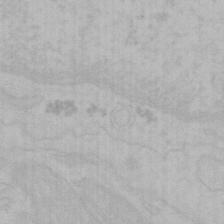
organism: Mouse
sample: Choroid plexus